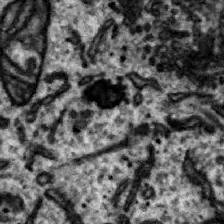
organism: Human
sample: HeLa cells